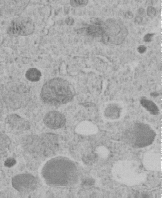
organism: C. elegans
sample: C. elegans embryo early stage